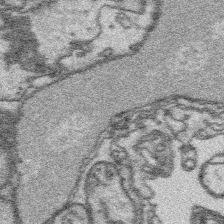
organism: Platynereis dumerilii